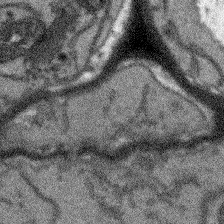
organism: Arabidopsis thaliana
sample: Root tip